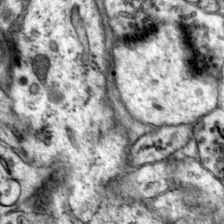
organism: Mouse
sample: Primary visual cortex